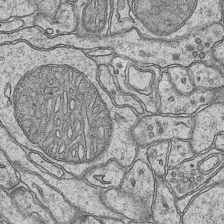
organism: Mouse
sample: CA1 Hippocampus